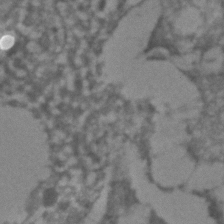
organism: C. elegans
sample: C. elegans embryo